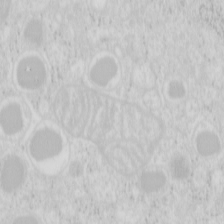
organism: Mouse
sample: Pancreas